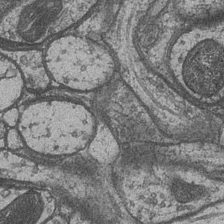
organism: Drosophila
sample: Optic medulla